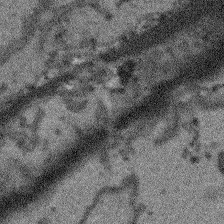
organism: Arabidopsis thaliana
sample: Root tip